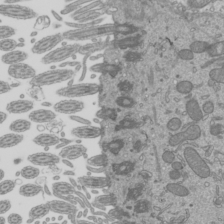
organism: Mouse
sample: Cilia; mouse epididymis